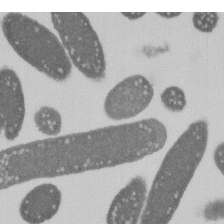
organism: E. coli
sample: Bacterial nucleoid